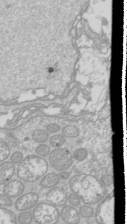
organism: Drosophila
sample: Cell division; meiosis; drosophila spermatocytes